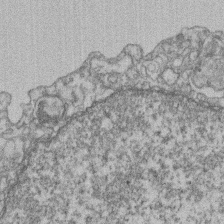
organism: Mouse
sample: T cell stromal cell synapse